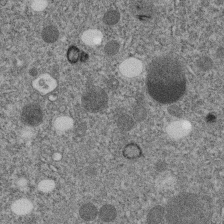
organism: C. elegans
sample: C. elegans embryo early stage